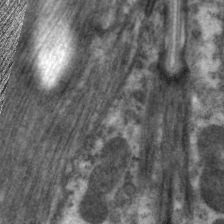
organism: C. elegans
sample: Pharynx